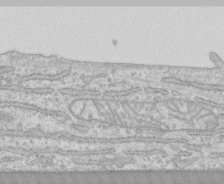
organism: Human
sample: CRL-1474